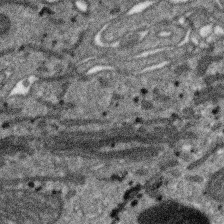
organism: Human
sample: Lung epithelial cells infected with SARS-CoV-2